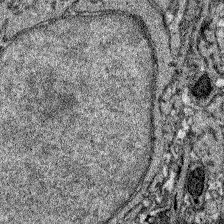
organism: Zebrafish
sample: Larval olfactory bulb